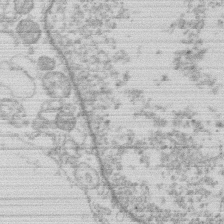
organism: Human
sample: Macrophage cells